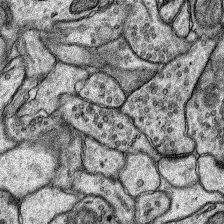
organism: Rat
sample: Hippocampus